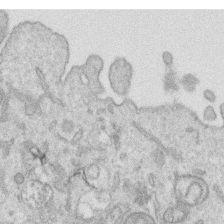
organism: Human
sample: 1205lu cells